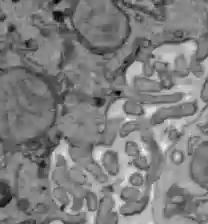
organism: C57BL Mouse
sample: Liver